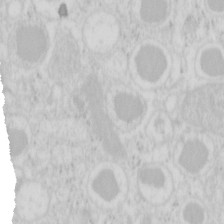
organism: Mouse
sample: Pancreas